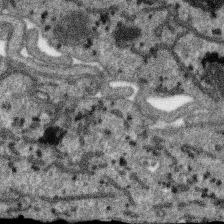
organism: Human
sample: Lung epithelial cells infected with SARS-CoV-2